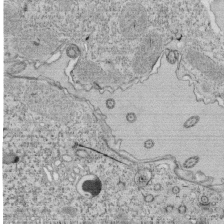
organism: Tetrahymena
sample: Cilia in tetrahymena